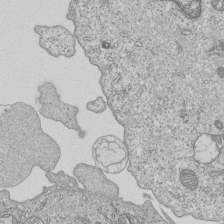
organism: Human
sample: MDA-MB-231 cells